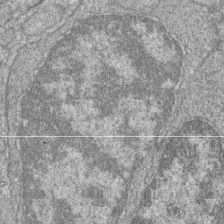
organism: Zebrafish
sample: Cilia; retinal pigment epithelium